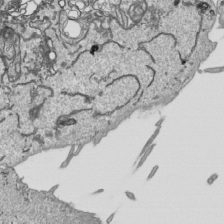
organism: Human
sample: Mitochondria in HCT116 cells